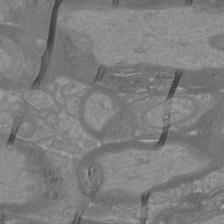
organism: Mouse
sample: Cortical neurons